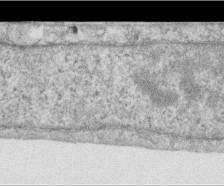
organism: Human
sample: Centriole in RPE cells